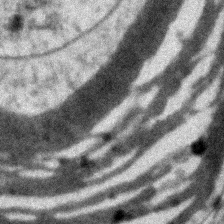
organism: Zebrafish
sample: Zebrafish embryo